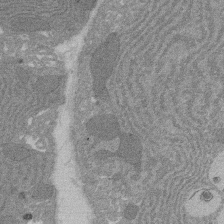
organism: Rat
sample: Salivary granule